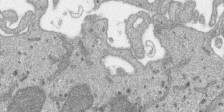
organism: Human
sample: Lung epithelial cells infected with SARS-CoV-2